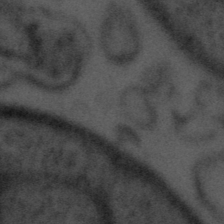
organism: Tuwongella immobilis